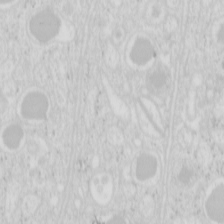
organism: Mouse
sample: Pancreas